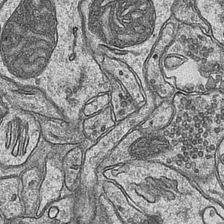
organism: Mouse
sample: CA1 Hippocampus